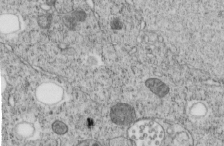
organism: C. elegans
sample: C. elegans embryo early stage